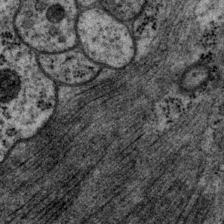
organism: P. pacificus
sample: Pharynx